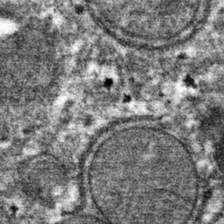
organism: Mouse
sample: Mouse hepatocytes